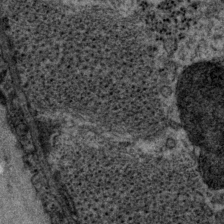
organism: P. pacificus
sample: Pharynx